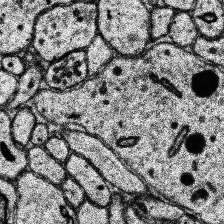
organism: Human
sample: Temporal Lobe